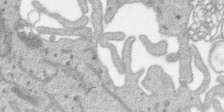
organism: Human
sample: Lung epithelial cells infected with SARS-CoV-2